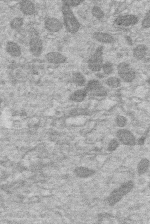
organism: Human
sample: Macrophage cells